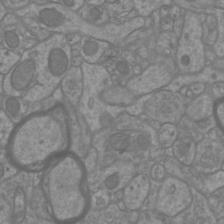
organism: Mouse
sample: Cortical neurons